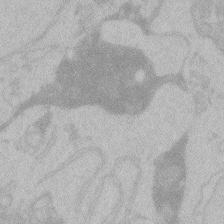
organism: Zebrafish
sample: Macrophage infected with Toxoplasma gondii